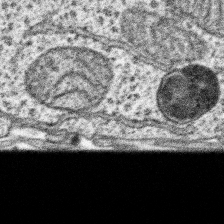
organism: Human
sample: HeLa cells